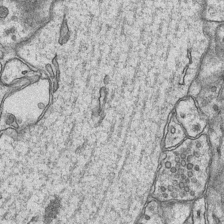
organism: Mouse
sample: CA1 Hippocampus